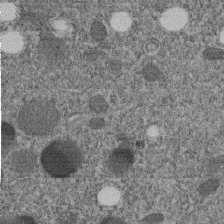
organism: C. elegans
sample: C. elegans embryo early stage